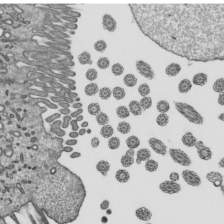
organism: Mouse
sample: Mouse epididymis efferent ductule cilia